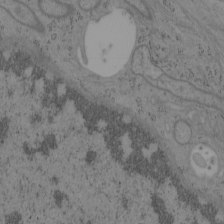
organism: Mouse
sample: OT-I killer T cells with ID8 ovarian cancer cells